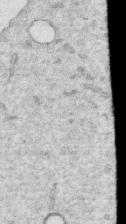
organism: Human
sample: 1205lu cells